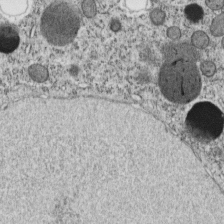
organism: C. elegans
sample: C. elegans embryo early stage